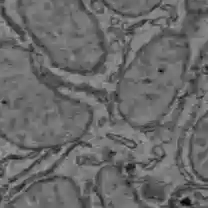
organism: C57BL Mouse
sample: Liver